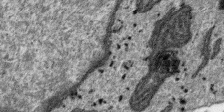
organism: Human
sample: Lung epithelial cells, uninfected (mock) control